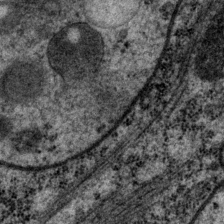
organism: P. pacificus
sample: Pharynx